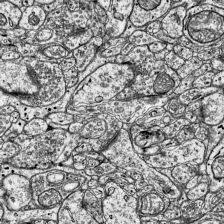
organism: Mouse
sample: Visual Cortex